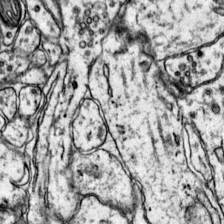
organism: Mouse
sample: Primary visual cortex